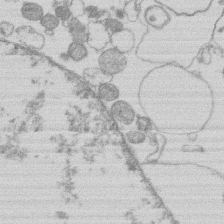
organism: Human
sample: Macrophage cells